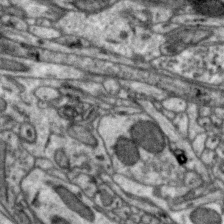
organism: Zebra finch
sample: Brain